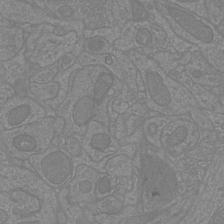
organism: Mouse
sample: Cortical neurons